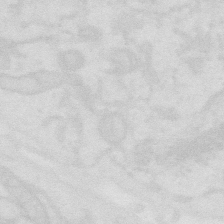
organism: Human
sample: HeLa cells